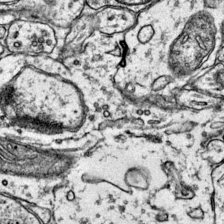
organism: Mouse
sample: Primary visual cortex